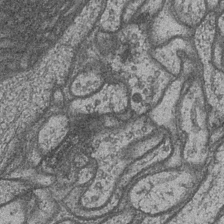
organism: Drosophila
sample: Optic medulla